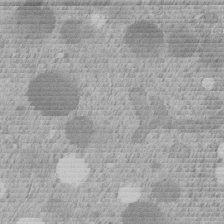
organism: C. elegans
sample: C. elegans embryo early stage